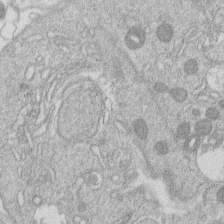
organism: Human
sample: Macrophage cells